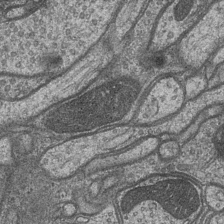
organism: Drosophila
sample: Optic medulla